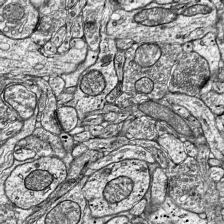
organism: Mouse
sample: Visual Cortex